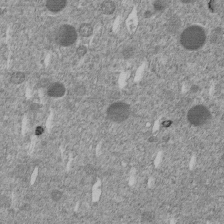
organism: C. elegans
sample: C. elegans embryo early stage